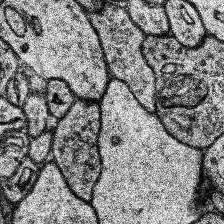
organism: Human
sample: Temporal Lobe